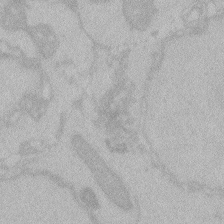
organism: Zebrafish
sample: Macrophage infected with Toxoplasma gondii